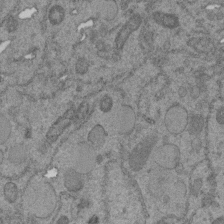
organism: C. elegans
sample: C. elegans embryo early stage